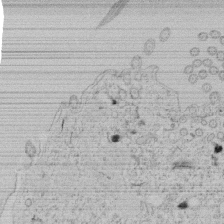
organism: Tetrahymena